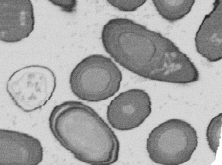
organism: B. subtilis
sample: Bacterial spore